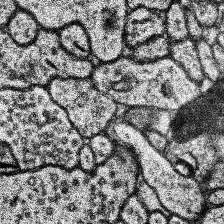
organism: Human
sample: Temporal Lobe